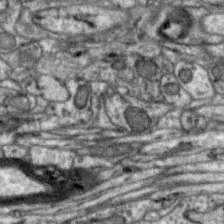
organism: Zebra finch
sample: Brain